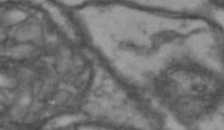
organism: Drosophila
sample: Brain